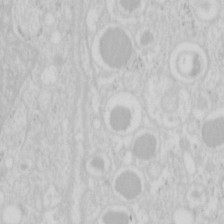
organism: Mouse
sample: Pancreas